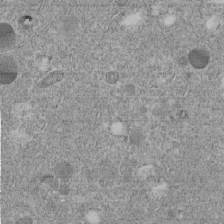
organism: C. elegans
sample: C. elegans embryo early stage